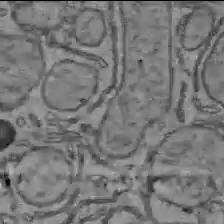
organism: C57BL Mouse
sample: Liver